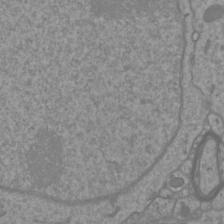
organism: Mouse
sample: Cortical neurons